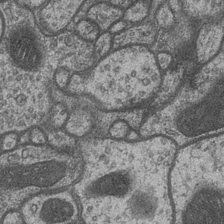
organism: Drosophila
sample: Optic medulla